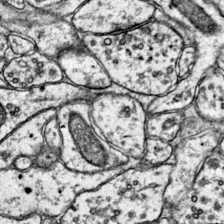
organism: Mouse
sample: Primary visual cortex